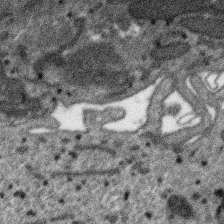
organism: Human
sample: Lung epithelial cells infected with SARS-CoV-2